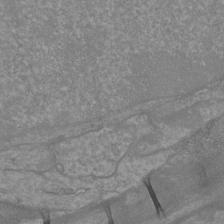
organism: Mouse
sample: Cortical neurons